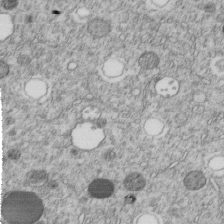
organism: C. elegans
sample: C. elegans embryo early stage